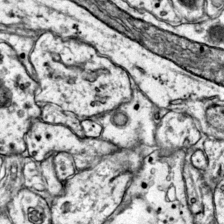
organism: Mouse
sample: Primary visual cortex